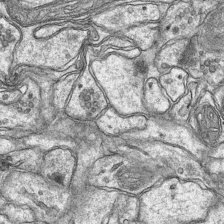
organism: Mouse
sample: CA1 Hippocampus